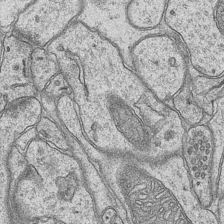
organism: Mouse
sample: CA1 Hippocampus